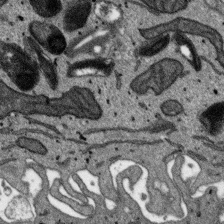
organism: Human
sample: Lung epithelial cells, uninfected (mock) control